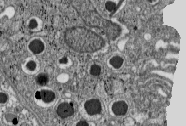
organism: C57BL Mouse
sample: Pancreatic islet